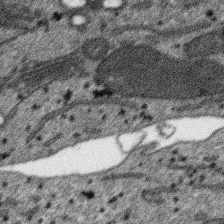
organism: Human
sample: Lung epithelial cells infected with SARS-CoV-2